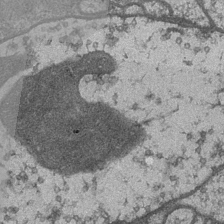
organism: Drosophila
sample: Optic medulla